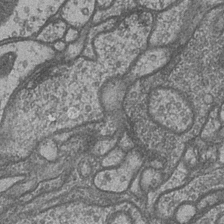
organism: Drosophila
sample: Optic medulla